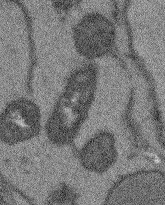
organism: Arabidopsis thaliana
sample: Root tip